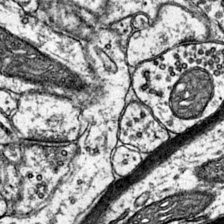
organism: Mouse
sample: Primary visual cortex